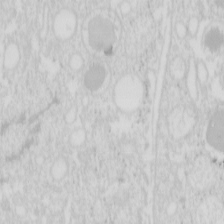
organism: Mouse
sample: Pancreas